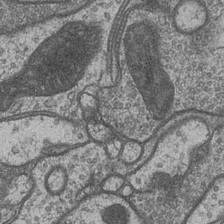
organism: Drosophila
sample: Optic medulla